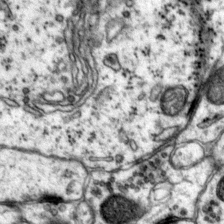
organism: Mouse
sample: Primary visual cortex